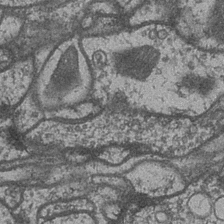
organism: Drosophila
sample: Optic medulla